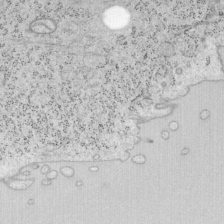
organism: Mouse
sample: OT-I killer T cells with ID8 ovarian cancer cells